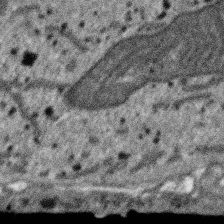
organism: Human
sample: Lung epithelial cells infected with SARS-CoV-2